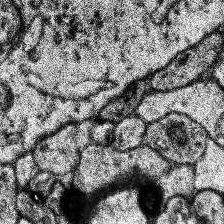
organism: Human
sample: Temporal Lobe